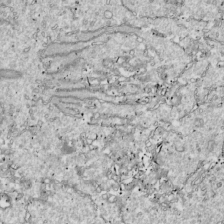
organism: Drosophila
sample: Cell division; meiosis; drosophila spermatocytes